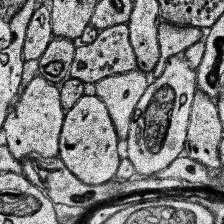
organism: Human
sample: Temporal Lobe